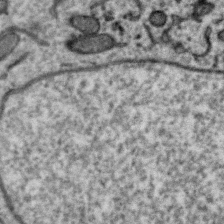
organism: Zebra finch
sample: Brain